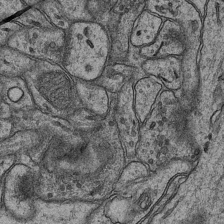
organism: Mouse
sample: CA1 Hippocampus